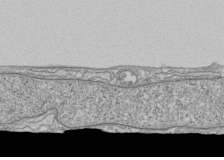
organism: Human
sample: Fibroblast cells